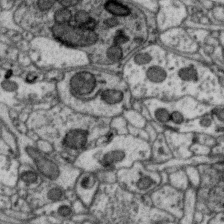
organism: Zebra finch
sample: Brain